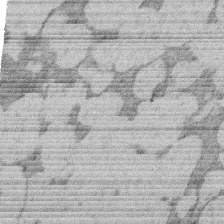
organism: Rat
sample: Salivary granule